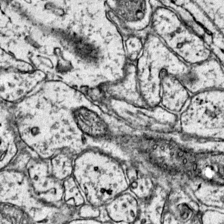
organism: Mouse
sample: Primary visual cortex